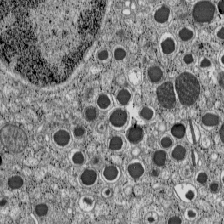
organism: C57BL Mouse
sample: Pancreatic islet